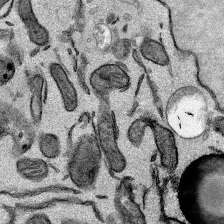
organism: Mouse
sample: Cancer cell death in ED-1 cells